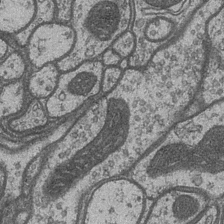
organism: Drosophila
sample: Optic medulla